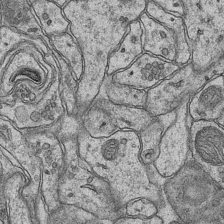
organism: Mouse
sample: CA1 Hippocampus